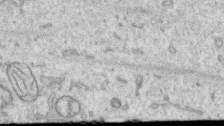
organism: Human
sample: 1205lu cells